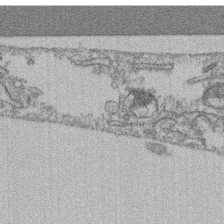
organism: Mouse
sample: T cell stromal cell synapse